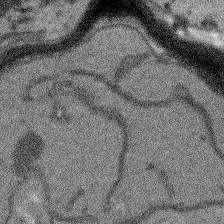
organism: Arabidopsis thaliana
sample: Root tip